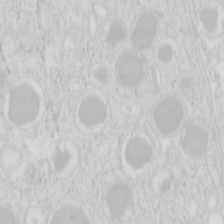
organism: Mouse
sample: Pancreas